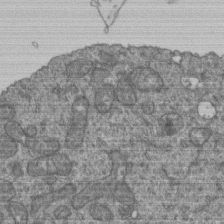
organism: Human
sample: Retinal organoid Rod and Cone cells